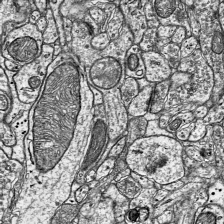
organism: Mouse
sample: Visual Cortex